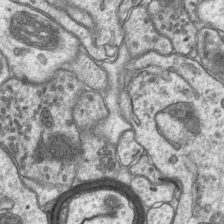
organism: Mouse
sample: CA1 Hippocampus